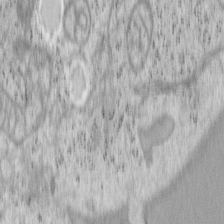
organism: Human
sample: HeLa cells